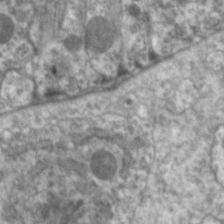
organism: C. elegans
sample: Pharynx